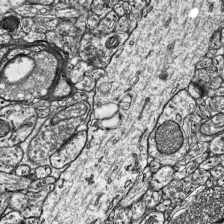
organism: Mouse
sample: Visual Cortex